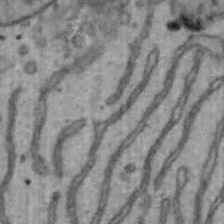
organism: Mouse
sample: Liver